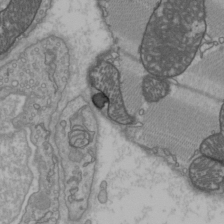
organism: C57BL Mouse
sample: Heart